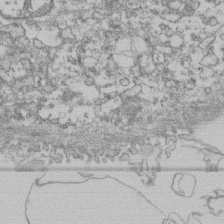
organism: Human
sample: Fibroblast cells